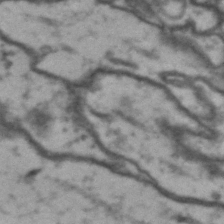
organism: Drosophila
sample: Brain